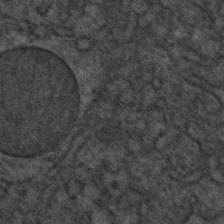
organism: C. elegans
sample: C. elegans embryo